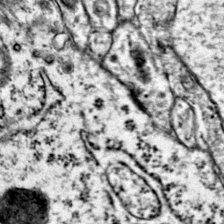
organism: Mouse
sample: Primary visual cortex